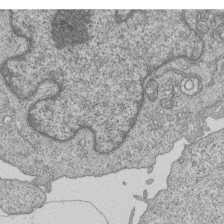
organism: Human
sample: MDA-MB-231 cells